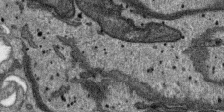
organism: Human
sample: Lung epithelial cells, uninfected (mock) control